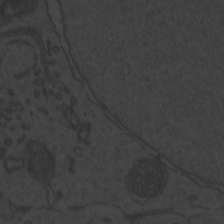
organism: Zebrafish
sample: Macrophage infected with Toxoplasma gondii